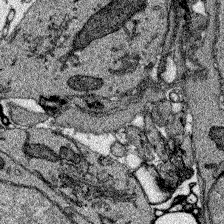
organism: Zebrafish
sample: Larval olfactory bulb